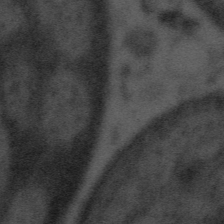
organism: Tuwongella immobilis